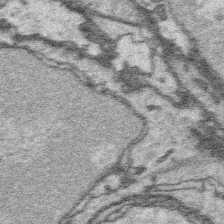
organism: Platynereis dumerilii